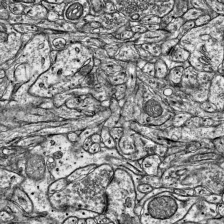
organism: Mouse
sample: Visual Cortex